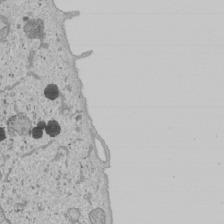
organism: Human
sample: Mitochondria in U2OS cells